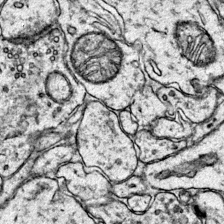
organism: Mouse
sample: Primary visual cortex